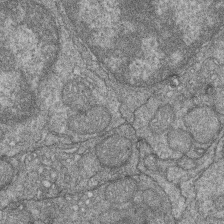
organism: Zebrafish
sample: Cilia; retinal pigment epithelium